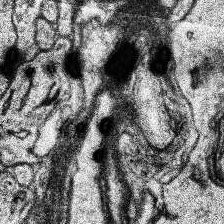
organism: Human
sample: Temporal Lobe